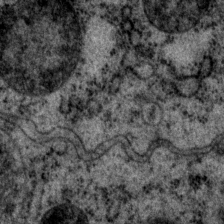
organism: P. pacificus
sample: Pharynx